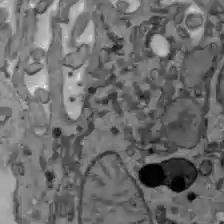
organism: C57BL Mouse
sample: Liver